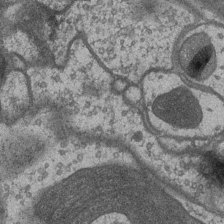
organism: Drosophila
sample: Optic medulla